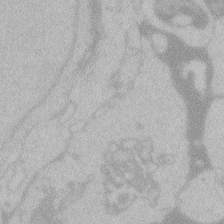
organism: Zebrafish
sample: Macrophage infected with Toxoplasma gondii